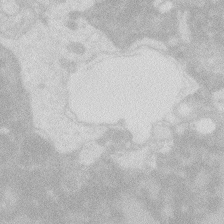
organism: Zebrafish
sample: Macrophage